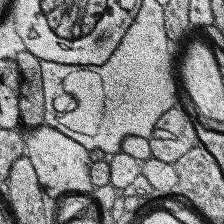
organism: Human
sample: Temporal Lobe